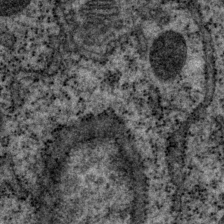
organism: P. pacificus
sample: Pharynx